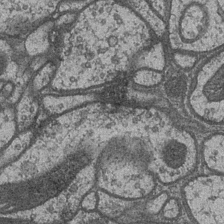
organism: Drosophila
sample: Optic medulla